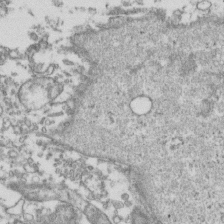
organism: Human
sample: Activated Jurkat CD4+ T cells